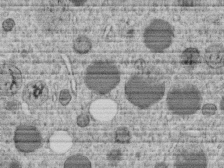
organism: C. elegans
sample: C. elegans embryo early stage